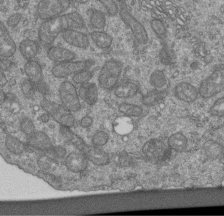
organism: Human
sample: Retinal organoid Rod and Cone cells